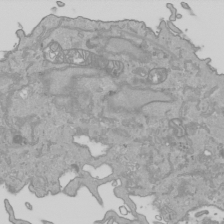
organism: Human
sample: Mitochondria in HCT116 cells